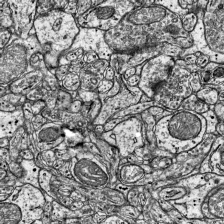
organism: Mouse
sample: Visual Cortex